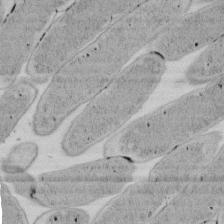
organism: E. coli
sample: Bacterial nucleoid